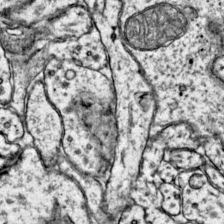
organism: Mouse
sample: Primary visual cortex